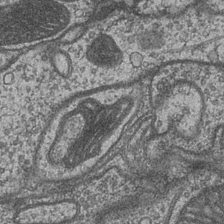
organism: Drosophila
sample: Optic medulla